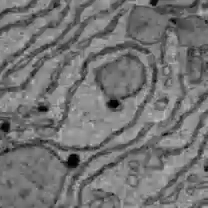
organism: C57BL Mouse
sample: Liver